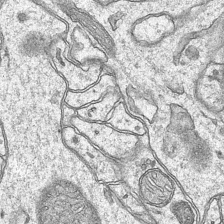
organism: Mouse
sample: CA1 Hippocampus